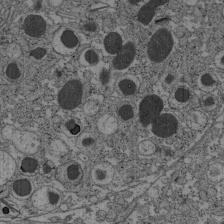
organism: C57BL Mouse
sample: Pancreatic islet